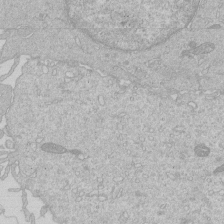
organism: Human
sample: Macrophage cells